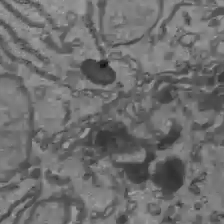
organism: C57BL Mouse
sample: Liver